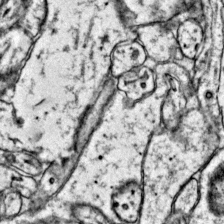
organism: Mouse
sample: Primary visual cortex